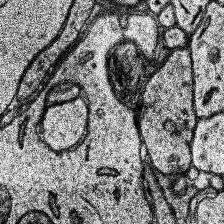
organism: Human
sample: Temporal Lobe